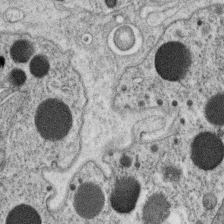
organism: C. elegans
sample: C. elegans oocyte; sperm cells